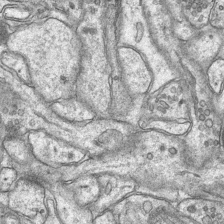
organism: Mouse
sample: CA1 Hippocampus